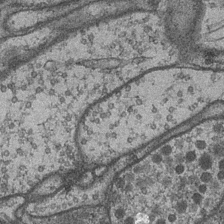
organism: Drosophila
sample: Optic medulla